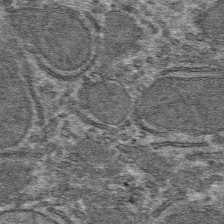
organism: Mouse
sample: Mouse hepatocytes